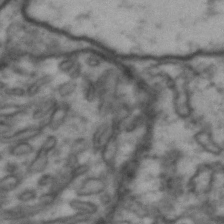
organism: Drosophila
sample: Brain